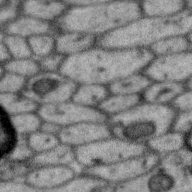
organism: Zebra finch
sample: Brain